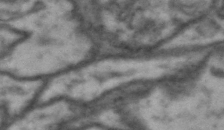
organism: Drosophila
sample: Brain